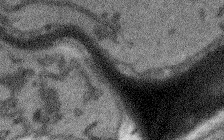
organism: Arabidopsis thaliana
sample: Root tip